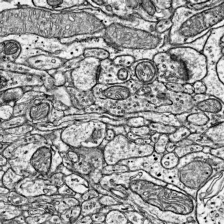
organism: Mouse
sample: Visual Cortex